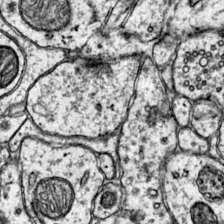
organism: Mouse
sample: Primary visual cortex